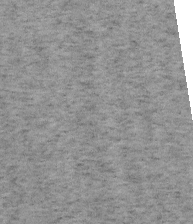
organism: Mouse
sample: OT-I killer T cells with ID8 ovarian cancer cells